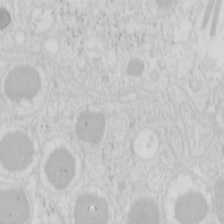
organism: Mouse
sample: Pancreas